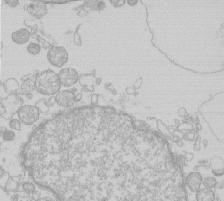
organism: Human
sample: Macrophage cells